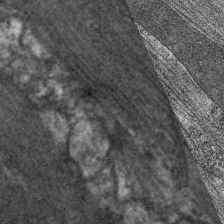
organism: C. elegans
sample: Pharynx